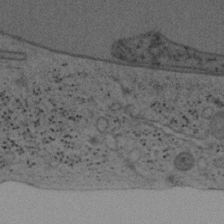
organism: Human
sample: HeLa cells